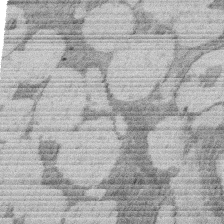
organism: Rat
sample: Salivary granule